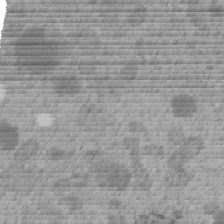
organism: C. elegans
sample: C. elegans embryo early stage